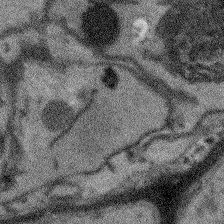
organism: Arabidopsis thaliana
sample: Root tip